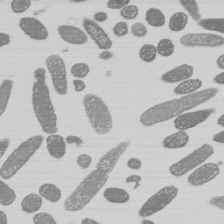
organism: E. coli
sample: Bacterial nucleoid